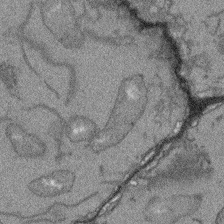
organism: Arabidopsis thaliana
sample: Root tip